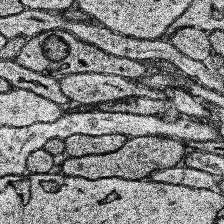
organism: Human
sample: Temporal Lobe